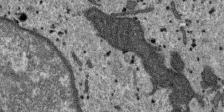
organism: Human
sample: Lung epithelial cells, uninfected (mock) control